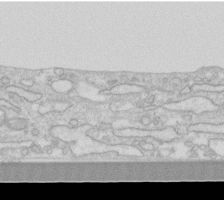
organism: Human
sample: Fibroblast cells